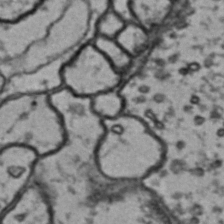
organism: Drosophila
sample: Brain